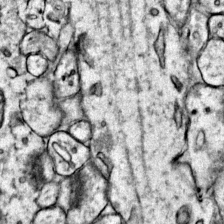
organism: Mouse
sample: Primary visual cortex